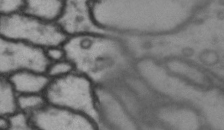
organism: Drosophila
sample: Brain